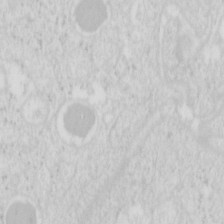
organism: Mouse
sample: Pancreas